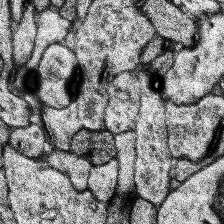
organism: Human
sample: Temporal Lobe